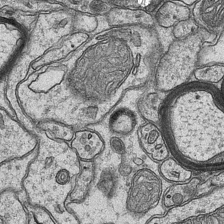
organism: Mouse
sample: CA1 Hippocampus